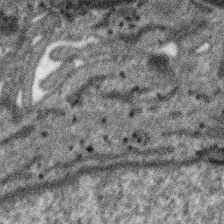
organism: Human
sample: Lung epithelial cells infected with SARS-CoV-2